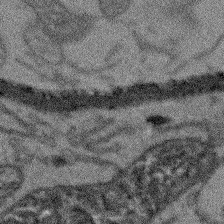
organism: Arabidopsis thaliana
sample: Root tip